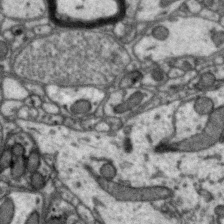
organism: Zebra finch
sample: Brain